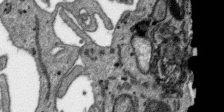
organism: Human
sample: Lung epithelial cells, uninfected (mock) control